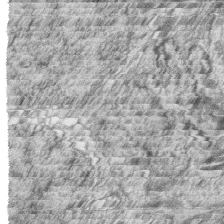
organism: Zebrafish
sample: synaptic ribbons in rod cells and cone cells